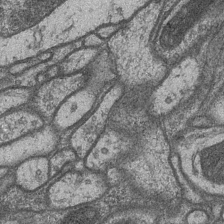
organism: Drosophila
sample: Optic medulla